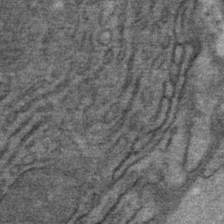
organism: Mouse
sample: Mouse Salivary gland